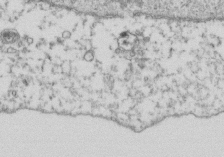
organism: Human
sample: Activated Jurkat CD4+ T cells